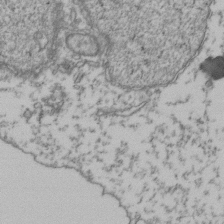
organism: Human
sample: Activated Jurkat CD4+ T cells